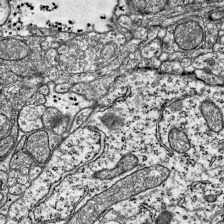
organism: Mouse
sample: Visual Cortex